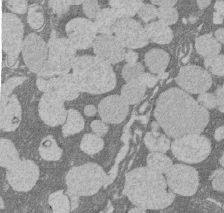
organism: Rat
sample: Salivary granule